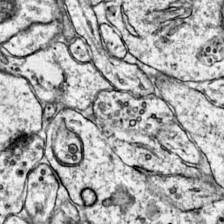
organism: Mouse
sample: Primary visual cortex